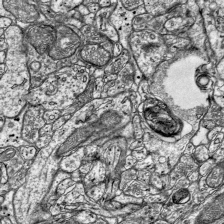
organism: Mouse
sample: Visual Cortex